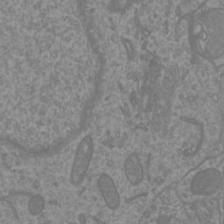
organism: Mouse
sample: Cortical neurons